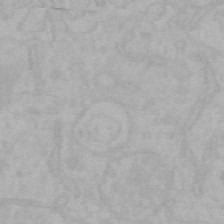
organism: Mouse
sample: Choroid plexus